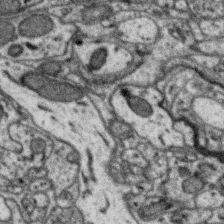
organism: Zebra finch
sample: Brain